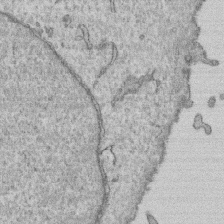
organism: Human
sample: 1205lu cells